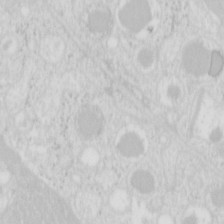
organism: Mouse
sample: Pancreas